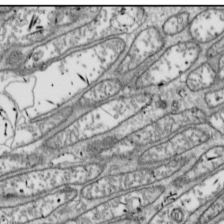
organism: Drosophila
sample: Cell division; meiosis; drosophila spermatocytes